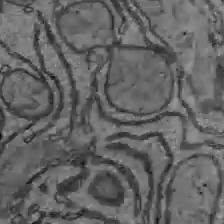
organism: C57BL Mouse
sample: Liver